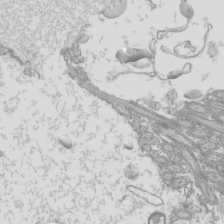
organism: Mouse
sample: Cilia; mouse epididymis